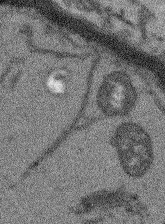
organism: Arabidopsis thaliana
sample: Root tip